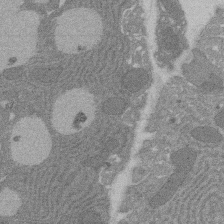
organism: Rat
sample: Salivary granule